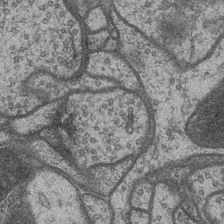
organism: Drosophila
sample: Optic medulla